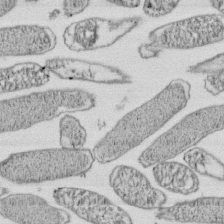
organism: E. coli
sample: Bacterial nucleoid